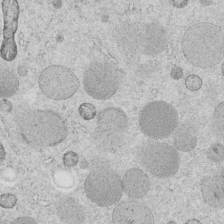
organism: C. elegans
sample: C. elegans embryo early stage